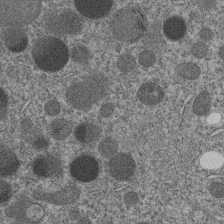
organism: C. elegans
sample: C. elegans embryo early stage